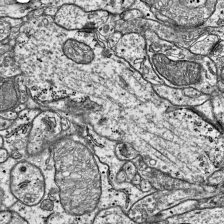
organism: Mouse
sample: Visual Cortex